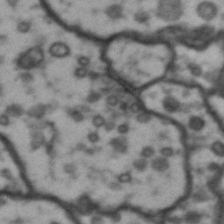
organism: Drosophila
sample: Brain